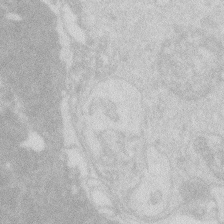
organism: Zebrafish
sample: Macrophage